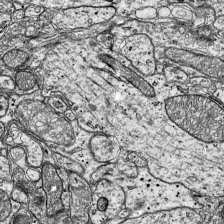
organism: Mouse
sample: Visual Cortex